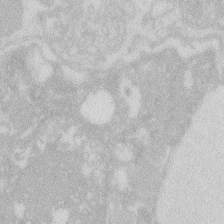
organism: Zebrafish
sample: Macrophage